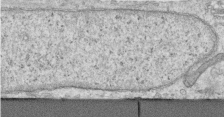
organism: Human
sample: Centriole in RPE cells